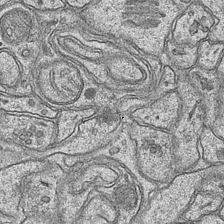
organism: Mouse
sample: CA1 Hippocampus